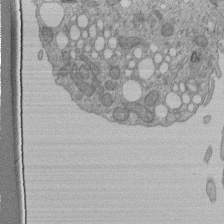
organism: Human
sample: Retinal organoid Rod and Cone cells